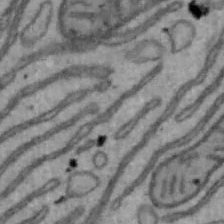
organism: Mouse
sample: Liver